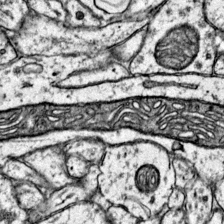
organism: Mouse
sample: Primary visual cortex